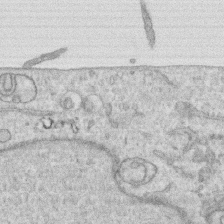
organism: Human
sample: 1205lu cells